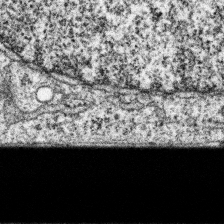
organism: Human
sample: HeLa cells